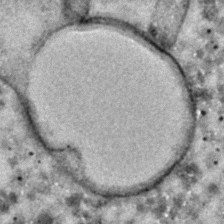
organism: C. elegans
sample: C. elegans embryo